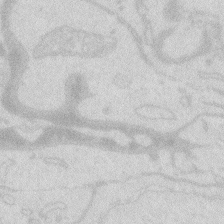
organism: Zebrafish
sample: Macrophage